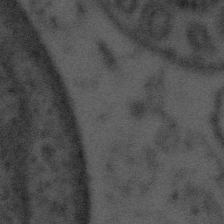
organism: Tuwongella immobilis